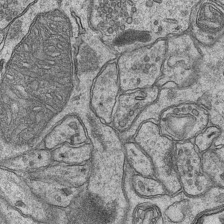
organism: Mouse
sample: CA1 Hippocampus